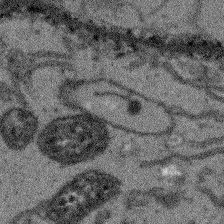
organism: Arabidopsis thaliana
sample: Root tip